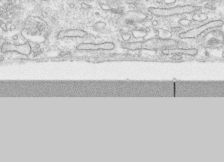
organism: Human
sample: CRL-1474